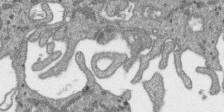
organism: Human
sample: Lung epithelial cells infected with SARS-CoV-2